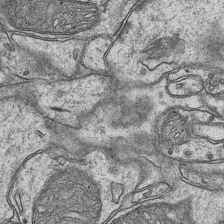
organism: Mouse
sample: CA1 Hippocampus